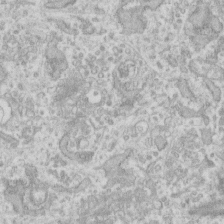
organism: Human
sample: Fibroblast cells